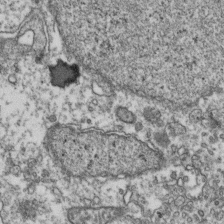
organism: Human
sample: Activated Jurkat CD4+ T cells